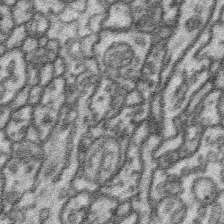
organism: Platynereis dumerilii